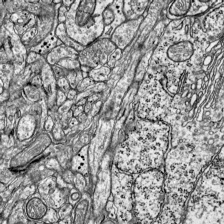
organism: Mouse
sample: Visual Cortex